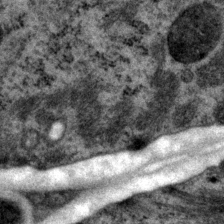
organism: P. pacificus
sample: Pharynx